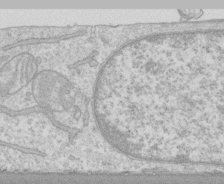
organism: Human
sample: CRL-1474